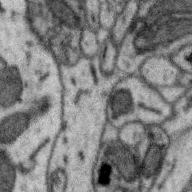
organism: Zebra finch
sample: Brain